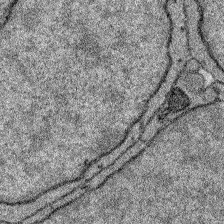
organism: Zebrafish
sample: Larval olfactory bulb